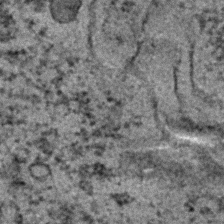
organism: C. elegans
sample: C. elegans embryo